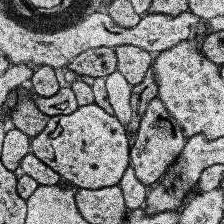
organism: Human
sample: Temporal Lobe